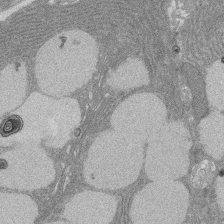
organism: Rat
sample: Salivary granule